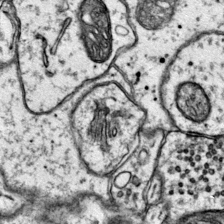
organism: Mouse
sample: Primary visual cortex